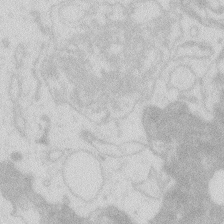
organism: Zebrafish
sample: Macrophage